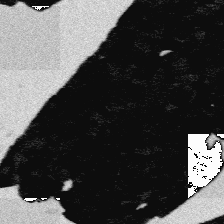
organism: Platynereis dumerilii